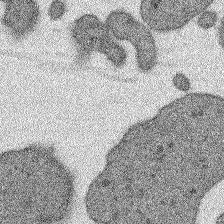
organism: Human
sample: HeLa cells